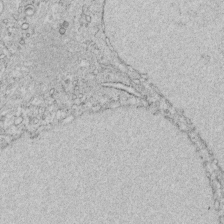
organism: C. elegans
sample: C. elegans embryo early stage